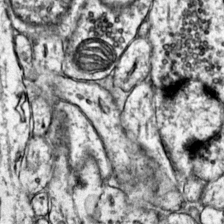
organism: Mouse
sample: Primary visual cortex